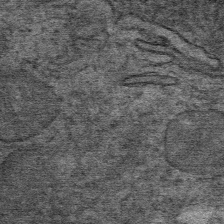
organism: Mouse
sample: Mouse Salivary gland